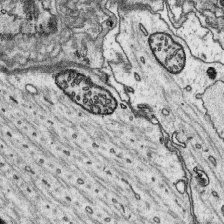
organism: Platynereis dumerilii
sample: Parapodia